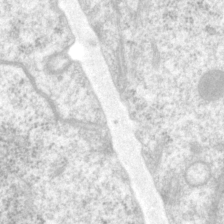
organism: P. pacificus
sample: Pharynx